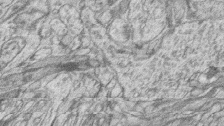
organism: Zebrafish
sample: synaptic ribbons in rod cells and cone cells